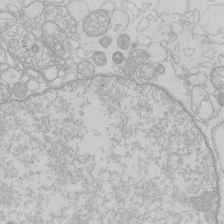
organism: Human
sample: Macrophage cells